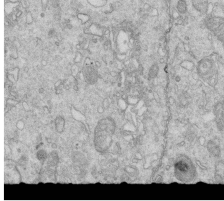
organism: Mouse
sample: Multiciliated cells